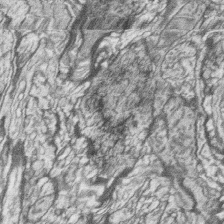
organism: Zebrafish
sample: synaptic ribbons in rod cells and cone cells